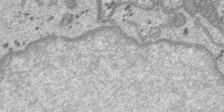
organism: Human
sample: Lung epithelial cells infected with SARS-CoV-2